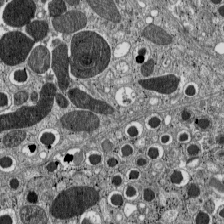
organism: C57BL Mouse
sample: Pancreatic islet